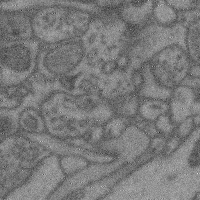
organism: Mouse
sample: Cerebral cortex